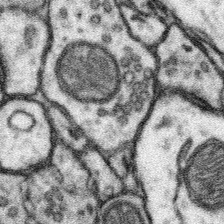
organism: Mouse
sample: Somatosensory cortex neuropil